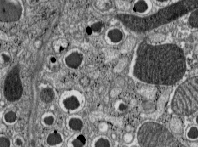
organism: C57BL Mouse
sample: Pancreatic islet